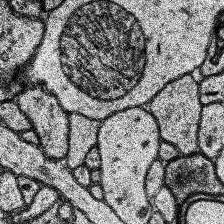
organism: Human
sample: Temporal Lobe